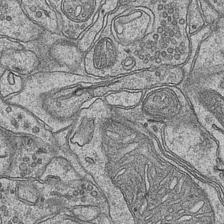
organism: Mouse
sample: CA1 Hippocampus